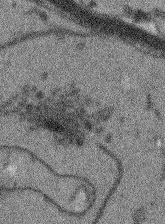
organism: Arabidopsis thaliana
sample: Root tip